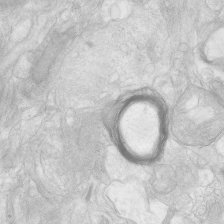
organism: Human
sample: Neocortex